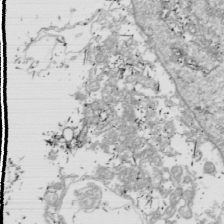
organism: Drosophila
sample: Cell division; meiosis; drosophila spermatocytes